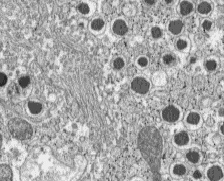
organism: C57BL Mouse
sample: Pancreatic islet